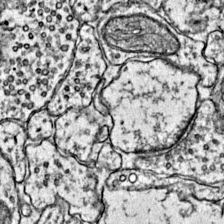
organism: Mouse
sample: Primary visual cortex